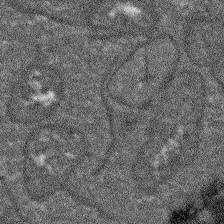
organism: Arabidopsis thaliana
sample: Root tip